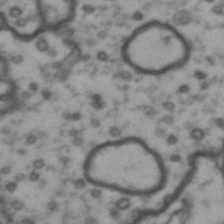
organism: Drosophila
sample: Brain